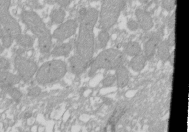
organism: Xenopus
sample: Cilia; centrioles in frog embryo cells